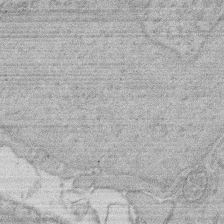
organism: Rat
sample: Salivary granule